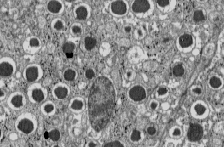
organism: C57BL Mouse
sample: Pancreatic islet